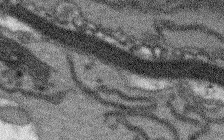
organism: Arabidopsis thaliana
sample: Root tip